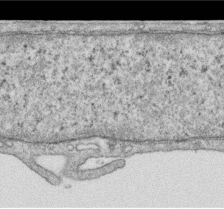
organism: Human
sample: Centriole in RPE cells